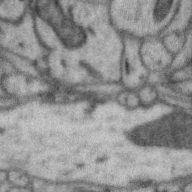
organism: Zebra finch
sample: Brain